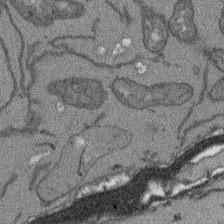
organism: Arabidopsis thaliana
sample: Root tip